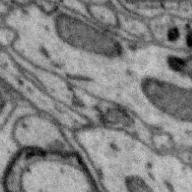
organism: Zebra finch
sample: Brain